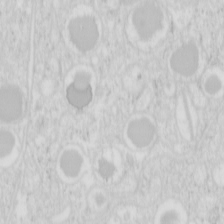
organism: Mouse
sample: Pancreas